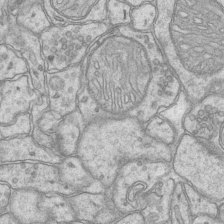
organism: Mouse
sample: CA1 Hippocampus